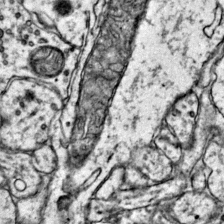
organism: Mouse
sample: Primary visual cortex